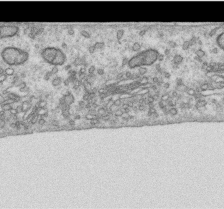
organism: Human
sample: Centriole in RPE cells